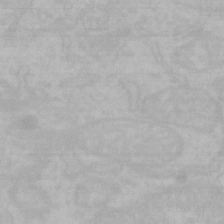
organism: Mouse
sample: Choroid plexus